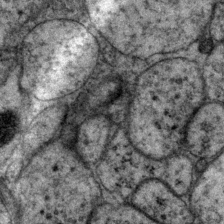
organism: P. pacificus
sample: Pharynx